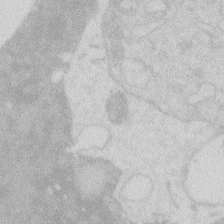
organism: Zebrafish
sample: Macrophage